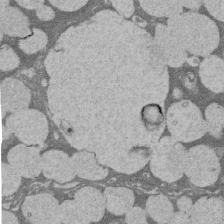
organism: Rat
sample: Salivary granule